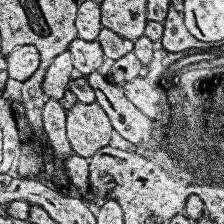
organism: Human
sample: Temporal Lobe